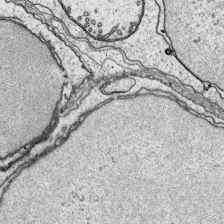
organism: Platynereis dumerilii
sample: Parapodia